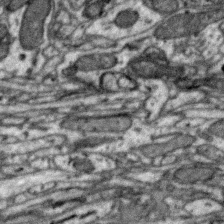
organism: Zebra finch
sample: Brain